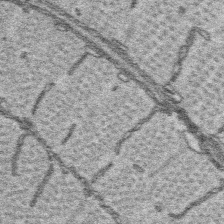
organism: Platynereis dumerilii